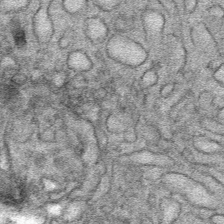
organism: Mouse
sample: Mouse Salivary gland